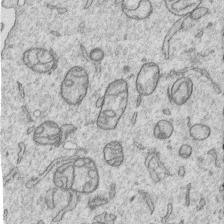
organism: Human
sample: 1205lu cells